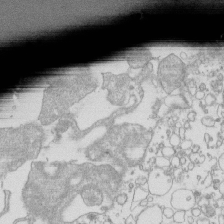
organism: Mouse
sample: Macrophages